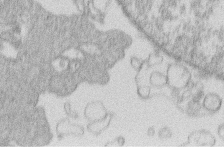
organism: Human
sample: Macrophage cells